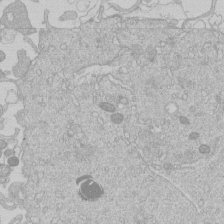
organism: Human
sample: Macrophage cells